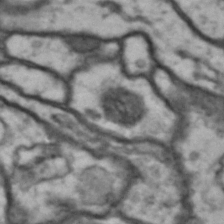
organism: Drosophila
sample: Brain